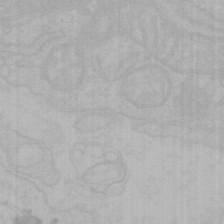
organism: Mouse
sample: Choroid plexus